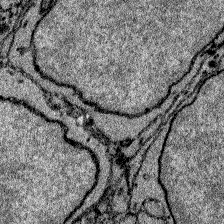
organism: Zebrafish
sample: Larval olfactory bulb